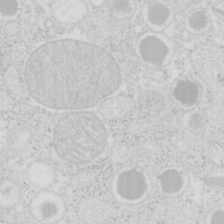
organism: Mouse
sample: Pancreas